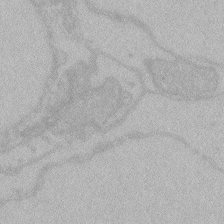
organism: Zebrafish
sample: Macrophage infected with Toxoplasma gondii